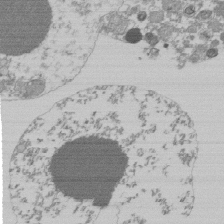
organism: Mouse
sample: Activated Pmel transgenic CD8+ T Cells